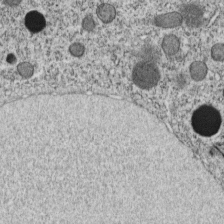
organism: C. elegans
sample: C. elegans embryo early stage